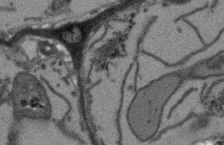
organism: Arabidopsis thaliana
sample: Root tip